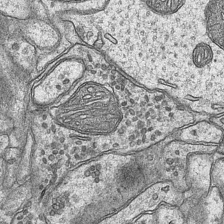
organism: Mouse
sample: CA1 Hippocampus